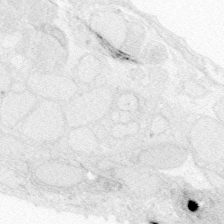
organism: Zebrafish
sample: Whole-Brain